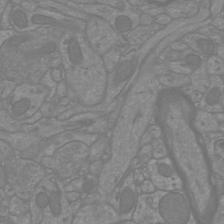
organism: Mouse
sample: Cortical neurons